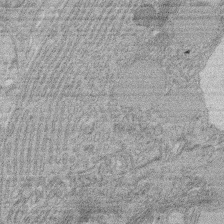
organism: Rat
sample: Salivary granule